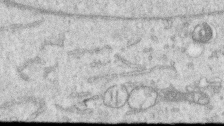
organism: Human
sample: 1205lu cells